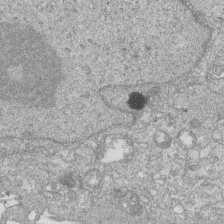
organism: Human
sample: HeLa cell HIV synapse